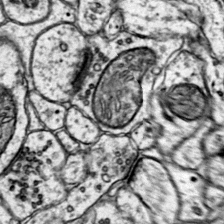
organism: Mouse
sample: Primary visual cortex